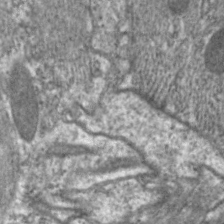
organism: C. elegans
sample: Pharynx